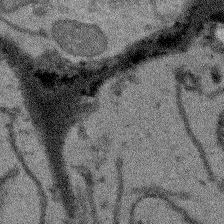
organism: Arabidopsis thaliana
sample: Root tip